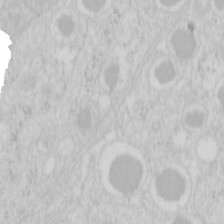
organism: Mouse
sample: Pancreas